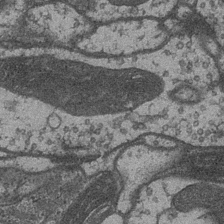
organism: Drosophila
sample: Optic medulla